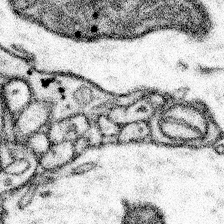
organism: Mouse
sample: Somatosensory cortex neuropil